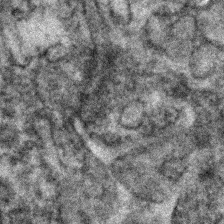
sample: Kidney